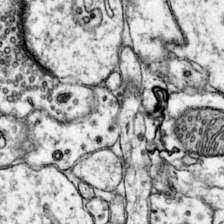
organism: Mouse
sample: Primary visual cortex